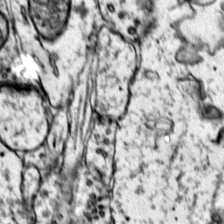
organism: Mouse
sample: Primary visual cortex